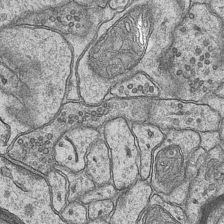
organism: Mouse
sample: CA1 Hippocampus